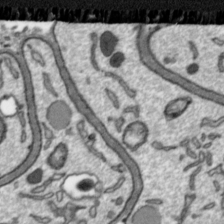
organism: Toxoplasma gondii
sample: Parasites in a vacuole inside a host cell